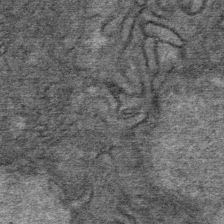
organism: Mouse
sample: Mouse Salivary gland